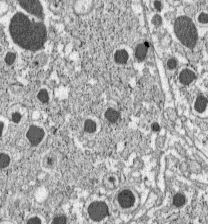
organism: C57BL Mouse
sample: Pancreatic islet